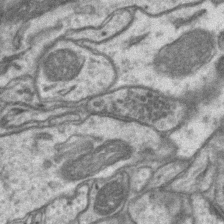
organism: Mouse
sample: CA1 Hippocampus